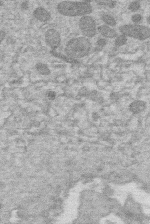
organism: Human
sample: Macrophage cells